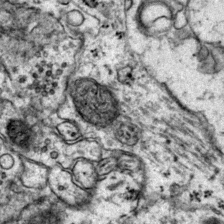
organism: Mouse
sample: Primary visual cortex